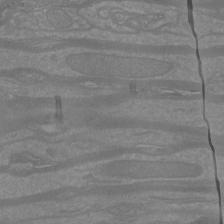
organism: Mouse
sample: Cortical neurons